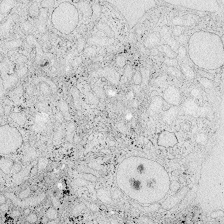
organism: Zebrafish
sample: Whole-Brain